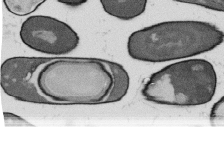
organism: B. subtilis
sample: Bacterial spore